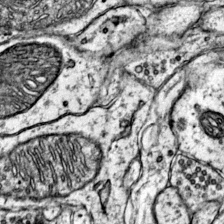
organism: Mouse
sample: Primary visual cortex